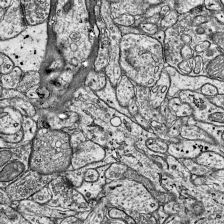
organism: Mouse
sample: Visual Cortex